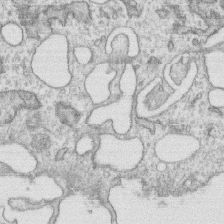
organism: Human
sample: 1205lu cells